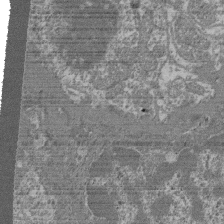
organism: Mouse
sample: Glomerulus